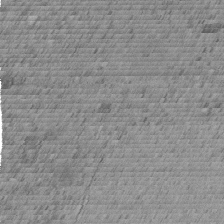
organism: C. elegans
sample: C. elegans embryo early stage